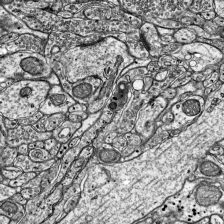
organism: Mouse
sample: Visual Cortex